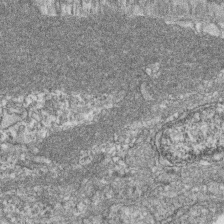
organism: Zebrafish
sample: Cilia; retinal pigment epithelium